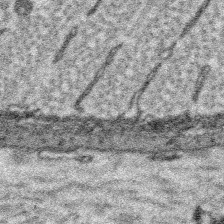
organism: Platynereis dumerilii